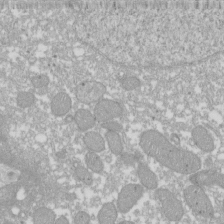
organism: Xenopus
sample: Cilia; centrioles in frog embryo cells